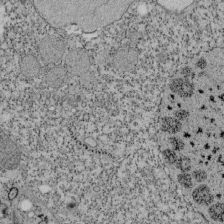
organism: Tetrahymena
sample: Cilia in tetrahymena